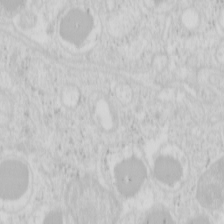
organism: Mouse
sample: Pancreas